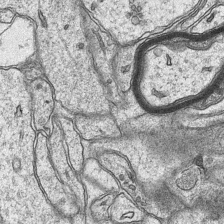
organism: Mouse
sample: CA1 Hippocampus